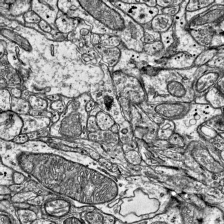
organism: Mouse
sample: Visual Cortex